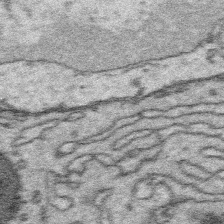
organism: Platynereis dumerilii